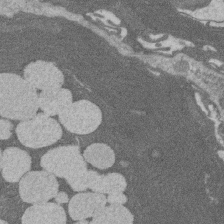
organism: Rat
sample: Salivary granule